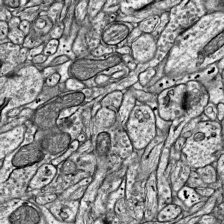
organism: Mouse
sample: Visual Cortex